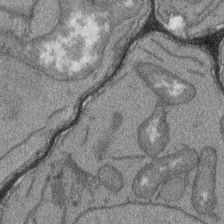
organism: Arabidopsis thaliana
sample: Root tip